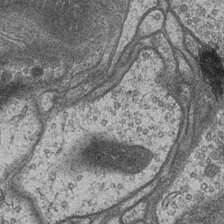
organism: Drosophila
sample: Optic medulla